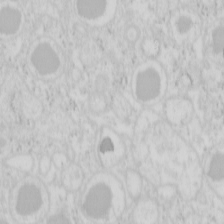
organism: Mouse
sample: Pancreas